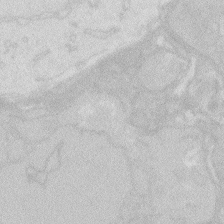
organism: Zebrafish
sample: Macrophage